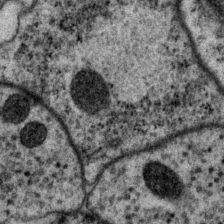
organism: P. pacificus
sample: Pharynx